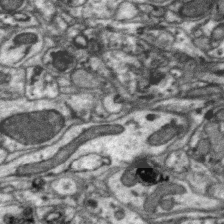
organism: Zebra finch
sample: Brain